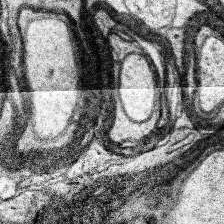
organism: Human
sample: Temporal Lobe